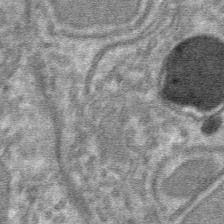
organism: Mouse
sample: Mouse hepatocytes